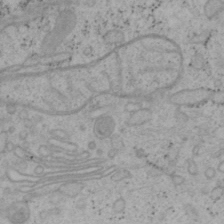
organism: Human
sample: HeLa cells